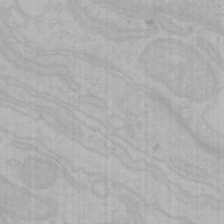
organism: Mouse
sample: Choroid plexus